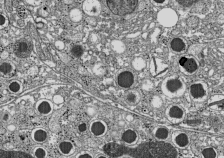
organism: C57BL Mouse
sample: Pancreatic islet